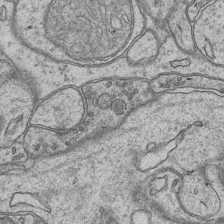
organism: Mouse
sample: CA1 Hippocampus